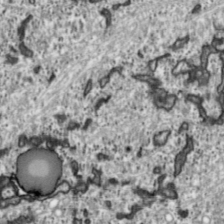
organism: Toxoplasma gondii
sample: Parasites in a vacuole inside a host cell